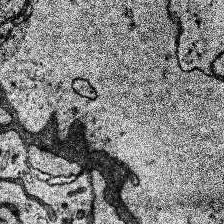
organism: Human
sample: Temporal Lobe